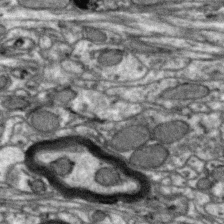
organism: Zebra finch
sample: Brain